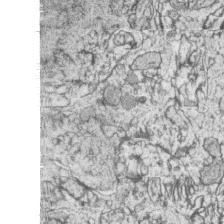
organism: Zebrafish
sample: synaptic ribbons in rod cells and cone cells